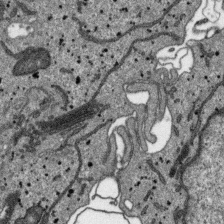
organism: Human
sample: Lung epithelial cells, uninfected (mock) control